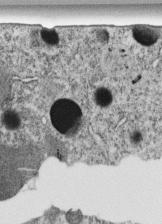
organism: C. elegans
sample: C. elegans embryo early stage